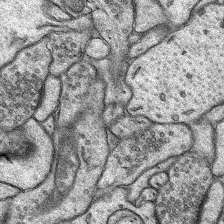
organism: Rat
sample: Hippocampus